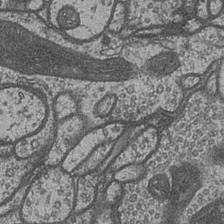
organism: Drosophila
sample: Optic medulla